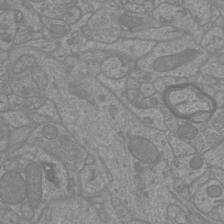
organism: Mouse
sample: Cortical neurons